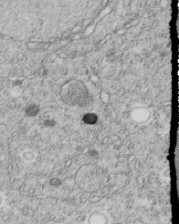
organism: C. elegans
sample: C. elegans embryo early stage